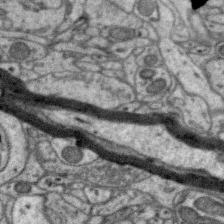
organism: Zebra finch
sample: Brain